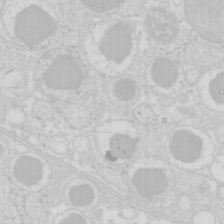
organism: Mouse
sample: Pancreas